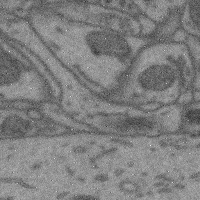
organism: Mouse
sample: Cerebral cortex